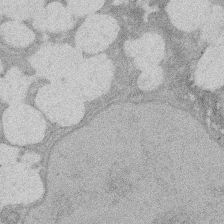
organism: Rat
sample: Salivary granule